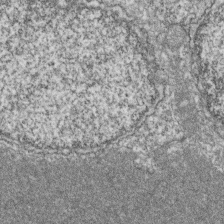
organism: Zebrafish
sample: Cilia; retinal pigment epithelium